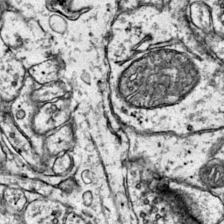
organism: Mouse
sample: Primary visual cortex